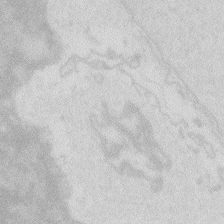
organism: Zebrafish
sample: Macrophage